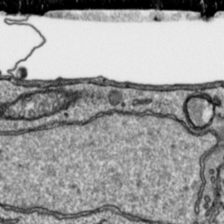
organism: Toxoplasma gondii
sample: Parasites in a vacuole inside a host cell